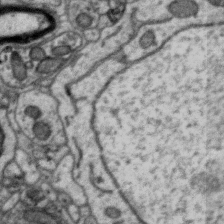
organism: Zebra finch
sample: Brain